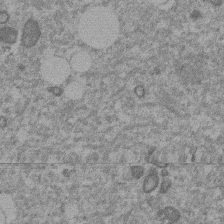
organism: Mouse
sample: Dividing mouse embryo 1 cell stage